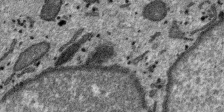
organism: Human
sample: Lung epithelial cells, uninfected (mock) control